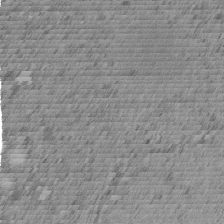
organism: C. elegans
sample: C. elegans embryo early stage